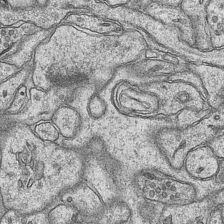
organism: Mouse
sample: CA1 Hippocampus